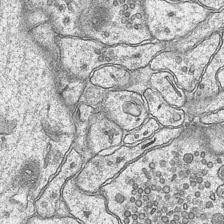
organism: Mouse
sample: CA1 Hippocampus